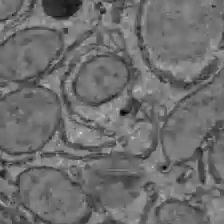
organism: C57BL Mouse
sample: Liver